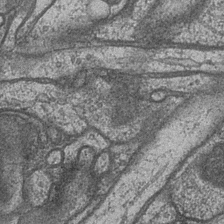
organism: Drosophila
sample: Optic medulla